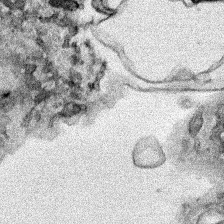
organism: Human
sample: Mitochondria in HCT116 cells